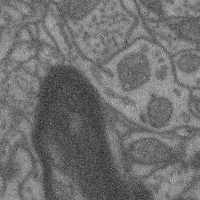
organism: Mouse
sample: Cerebral cortex